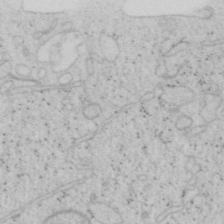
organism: Human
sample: HeLa cells